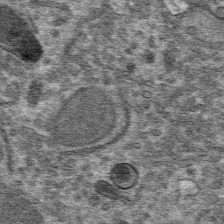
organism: Mouse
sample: Mouse hepatocytes